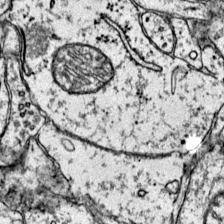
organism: Mouse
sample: Primary visual cortex